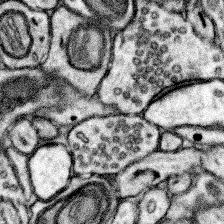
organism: Mouse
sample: Somatosensory cortex neuropil